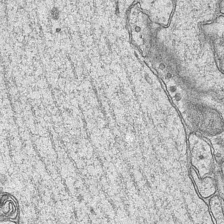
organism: Mouse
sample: CA1 Hippocampus